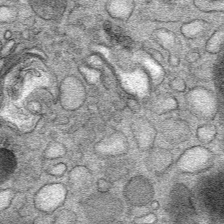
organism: Mouse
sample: Mouse Salivary gland